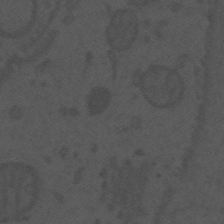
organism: Mouse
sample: Suprachiasmatic nucleus